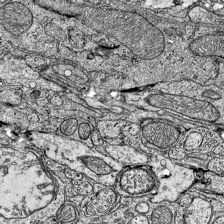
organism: Mouse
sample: Visual Cortex